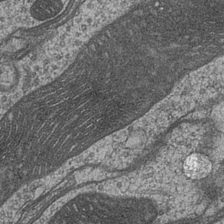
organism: Drosophila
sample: Optic medulla